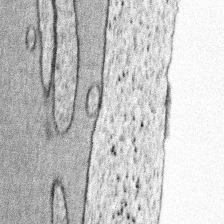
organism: Human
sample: HeLa cells